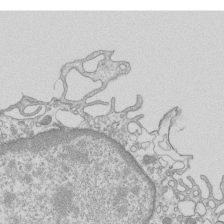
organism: Mouse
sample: Macrophages